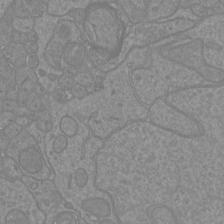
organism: Mouse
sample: Cortical neurons